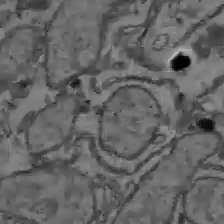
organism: C57BL Mouse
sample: Liver